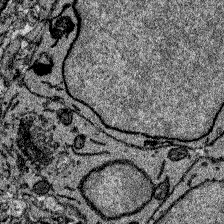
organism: Zebrafish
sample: Larval olfactory bulb